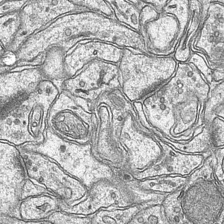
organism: Mouse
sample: CA1 Hippocampus